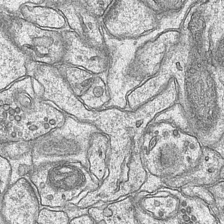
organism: Mouse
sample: CA1 Hippocampus